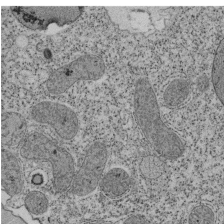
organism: Tetrahymena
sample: Cilia in tetrahymena